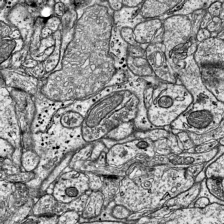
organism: Mouse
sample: Visual Cortex